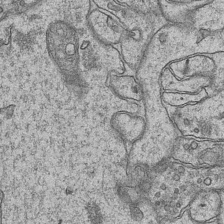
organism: Mouse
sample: CA1 Hippocampus